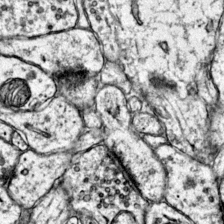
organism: Mouse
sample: Primary visual cortex